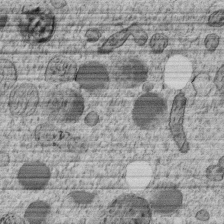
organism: C. elegans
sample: C. elegans embryo early stage